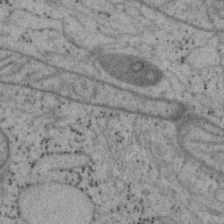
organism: Human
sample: HeLa cells